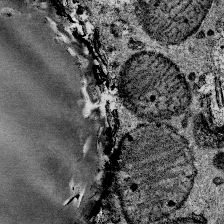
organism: Mouse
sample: Mouse Salivary gland